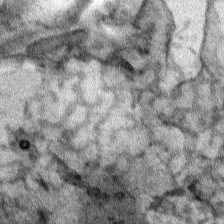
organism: Human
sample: Mitochondria in HCT116 cells